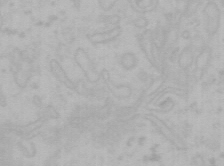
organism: Mouse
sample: Choroid plexus